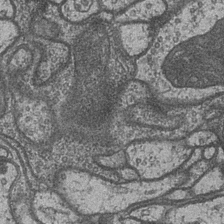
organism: Drosophila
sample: Optic medulla